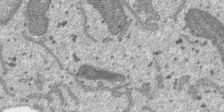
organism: Human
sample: Lung epithelial cells infected with SARS-CoV-2